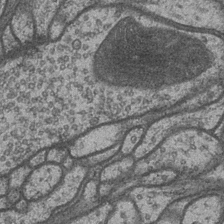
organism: Drosophila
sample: Optic medulla